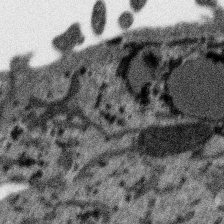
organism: Human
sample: Lung epithelial cells infected with SARS-CoV-2